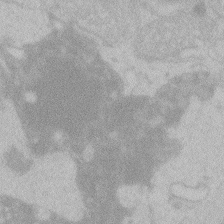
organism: Zebrafish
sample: Macrophage infected with Toxoplasma gondii